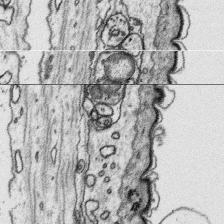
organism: Platynereis dumerilii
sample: Parapodia